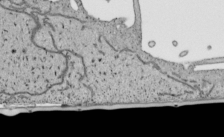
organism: Human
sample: Mitochondria in HCT116 cells